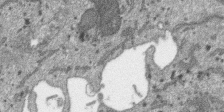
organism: Human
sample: Lung epithelial cells infected with SARS-CoV-2